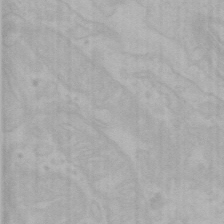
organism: Mouse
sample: Choroid plexus